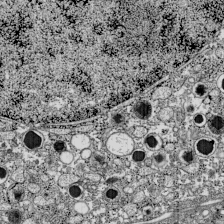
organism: C57BL Mouse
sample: Pancreatic islet